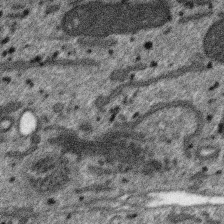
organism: Human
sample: Lung epithelial cells infected with SARS-CoV-2